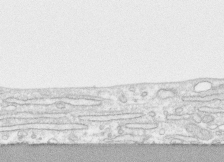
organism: Human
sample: CRL-1474